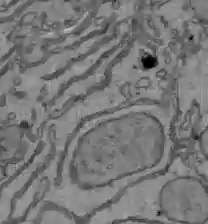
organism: C57BL Mouse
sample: Liver